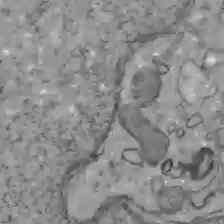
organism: C57BL Mouse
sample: Liver